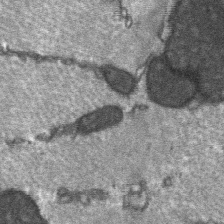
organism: C57BL Mouse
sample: Soleus